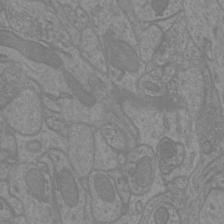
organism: Mouse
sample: Cortical neurons